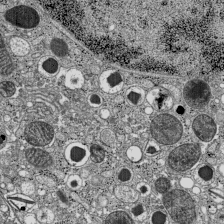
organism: C57BL Mouse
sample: Pancreatic islet